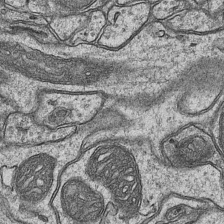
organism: Mouse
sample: CA1 Hippocampus